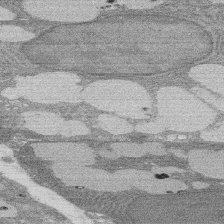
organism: Rat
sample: Salivary granule